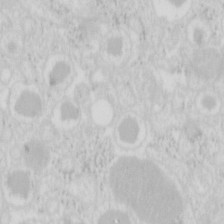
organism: Mouse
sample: Pancreas